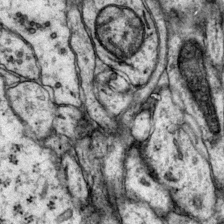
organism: Mouse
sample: Primary visual cortex